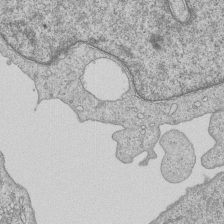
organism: Human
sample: MDA-MB-231 cells